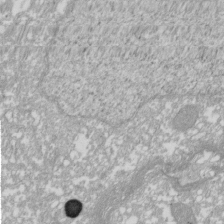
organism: Xenopus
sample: Cilia; centrioles in frog embryo cells